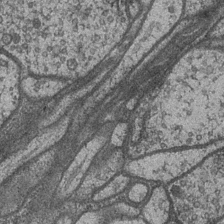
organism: Drosophila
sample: Optic medulla